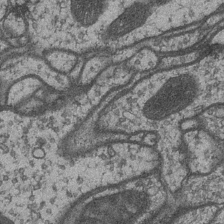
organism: Drosophila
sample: Optic medulla